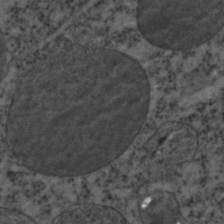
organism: C. elegans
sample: C. elegans embryo